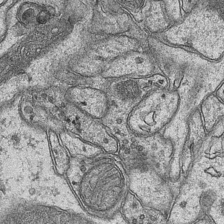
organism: Mouse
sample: CA1 Hippocampus